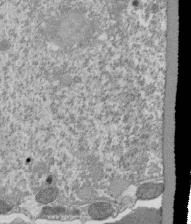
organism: Tetrahymena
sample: Cilia in tetrahymena